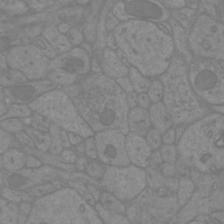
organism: Mouse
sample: Cortical neurons